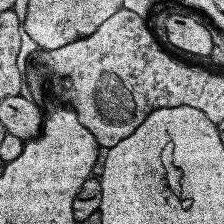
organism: Human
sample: Temporal Lobe